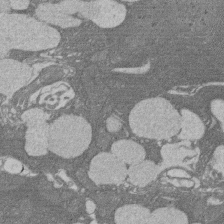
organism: Rat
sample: Salivary granule